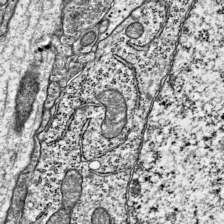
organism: Mouse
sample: Visual Cortex